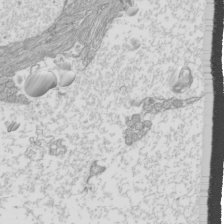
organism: Mouse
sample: Cilia; mouse epididymis